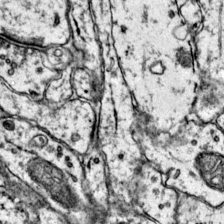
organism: Mouse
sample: Primary visual cortex